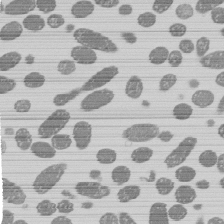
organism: E. coli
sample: Bacterial nucleoid